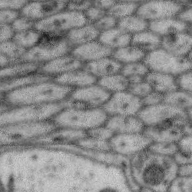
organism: Zebra finch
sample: Brain